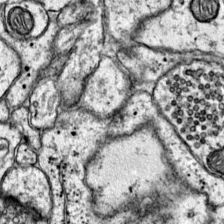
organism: Mouse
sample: Primary visual cortex